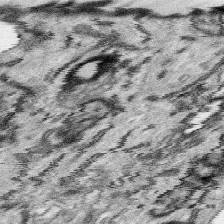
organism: Human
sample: HeLa cells